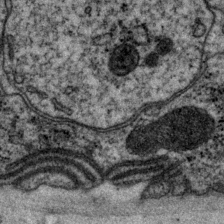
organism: P. pacificus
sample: Pharynx